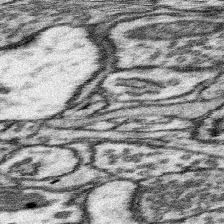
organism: Mouse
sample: Somatosensory cortex neuropil